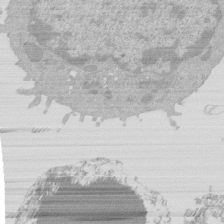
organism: Mouse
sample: Activated Pmel transgenic CD8+ T Cells